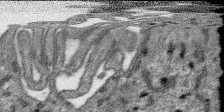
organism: Human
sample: Lung epithelial cells infected with SARS-CoV-2